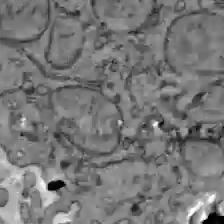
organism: C57BL Mouse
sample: Liver